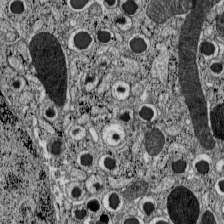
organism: C57BL Mouse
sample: Pancreatic islet